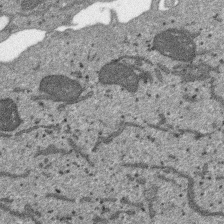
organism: Human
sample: Lung epithelial cells infected with SARS-CoV-2